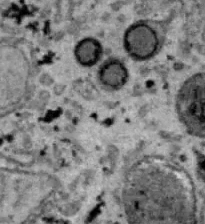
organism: Mouse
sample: Liver from an obese (ob/ob) mouse